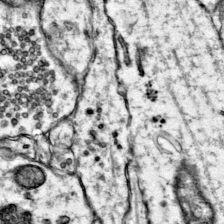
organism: Mouse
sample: Primary visual cortex